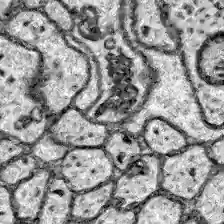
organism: Zebrafish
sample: Brain